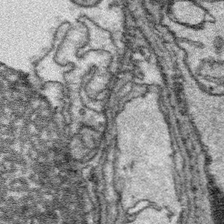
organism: Platynereis dumerilii